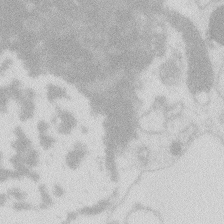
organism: Zebrafish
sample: Macrophage